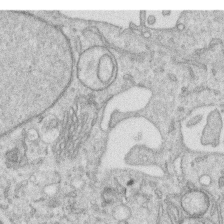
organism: Human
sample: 1205lu cells